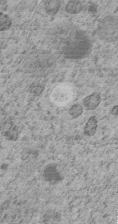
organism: C. elegans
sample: C. elegans embryo early stage